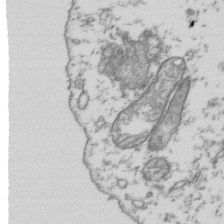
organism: Human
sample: Activated Jurkat CD4+ T cells